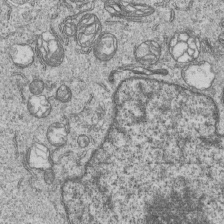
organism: Human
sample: MDA-MB-231 cells